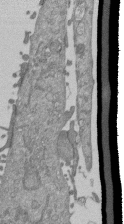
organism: Mouse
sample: ED-1 cell nuclei; centrioles